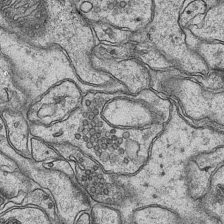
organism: Mouse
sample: CA1 Hippocampus